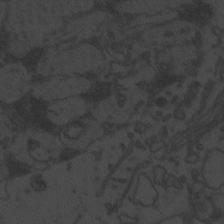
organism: Zebrafish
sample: Macrophage infected with Toxoplasma gondii